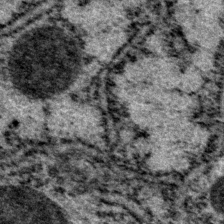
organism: P. pacificus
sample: Pharynx